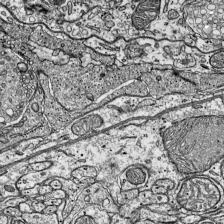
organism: Mouse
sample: Visual Cortex